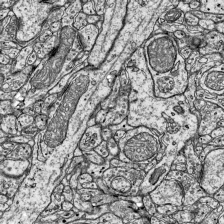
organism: Mouse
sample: Visual Cortex